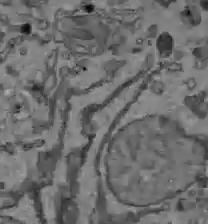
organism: C57BL Mouse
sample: Liver